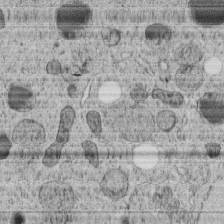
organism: C. elegans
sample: C. elegans embryo early stage